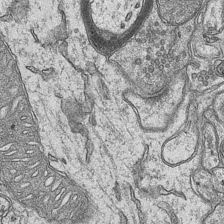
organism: Mouse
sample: CA1 Hippocampus